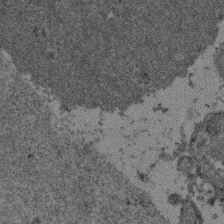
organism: Mouse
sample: Dividing mouse embryo 1 cell stage